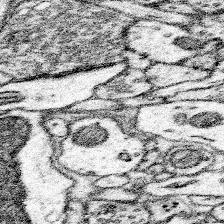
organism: Mouse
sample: Somatosensory cortex neuropil